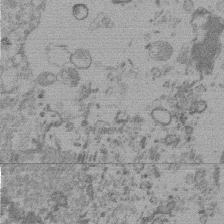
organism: Mouse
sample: Dividing mouse embryo 1 cell stage